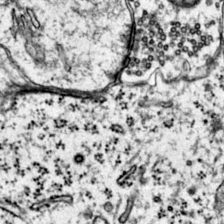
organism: Mouse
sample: Primary visual cortex